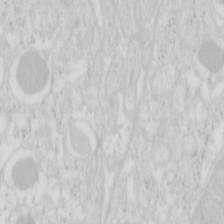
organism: Mouse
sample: Pancreas